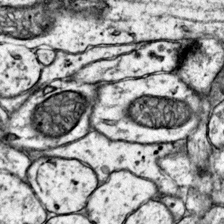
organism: Mouse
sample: Primary visual cortex